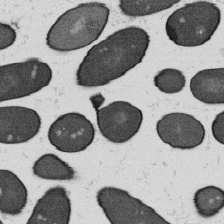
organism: B. subtilis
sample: Bacterial spore